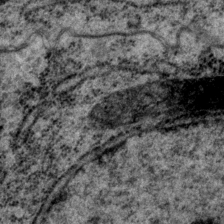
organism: P. pacificus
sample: Pharynx